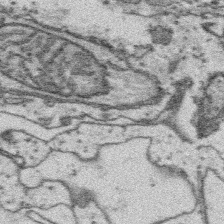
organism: Platynereis dumerilii